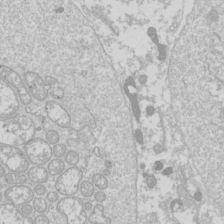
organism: Drosophila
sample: Cell division; meiosis; drosophila spermatocytes